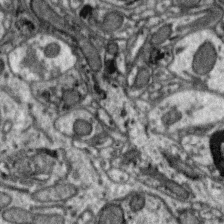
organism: Zebra finch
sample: Brain